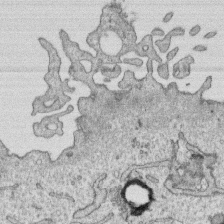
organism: Human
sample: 1205lu cells